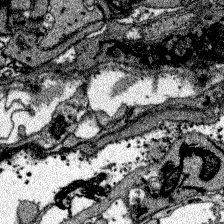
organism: Zebrafish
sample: Larval olfactory bulb